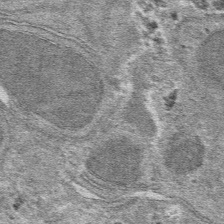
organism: Mouse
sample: Mouse hepatocytes